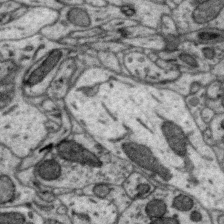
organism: Zebra finch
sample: Brain